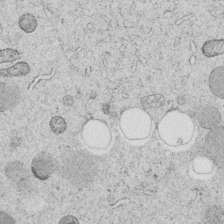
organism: C. elegans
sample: C. elegans embryo early stage